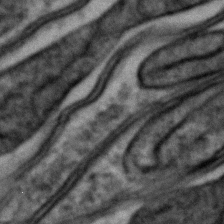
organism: Zebrafish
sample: Zebrafish embryo